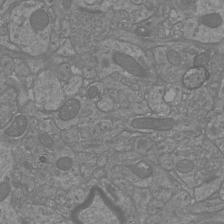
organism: Mouse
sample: Cortical neurons